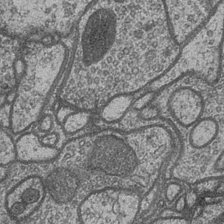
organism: Drosophila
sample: Optic medulla